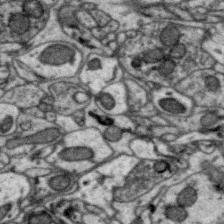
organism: Zebra finch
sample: Brain